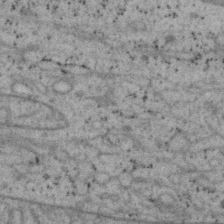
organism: Human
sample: HeLa cells